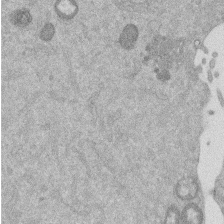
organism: Mouse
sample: Dividing mouse embryo 1 cell stage